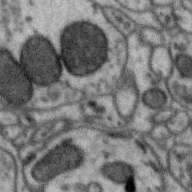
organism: Zebra finch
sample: Brain